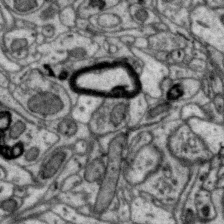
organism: Zebra finch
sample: Brain